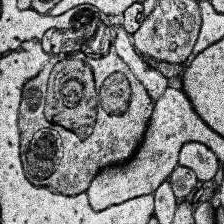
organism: Human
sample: Temporal Lobe